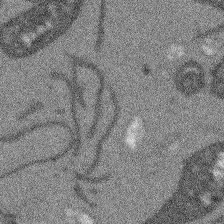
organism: Arabidopsis thaliana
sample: Root tip